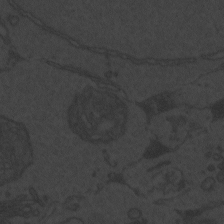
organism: Zebrafish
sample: Macrophage infected with Toxoplasma gondii